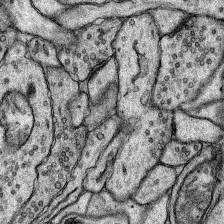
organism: Rat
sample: Hippocampus